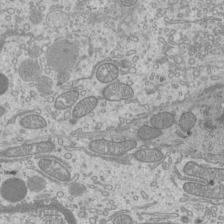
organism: Mouse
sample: Cilia; mouse epididymis